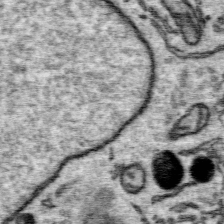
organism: Human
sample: HeLa cells